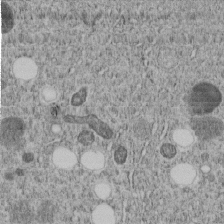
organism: C. elegans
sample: C. elegans embryo early stage